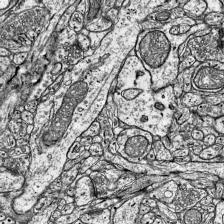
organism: Mouse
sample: Visual Cortex